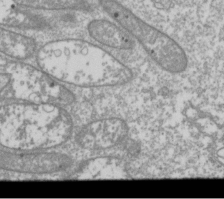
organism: Drosophila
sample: Cell division; meiosis; drosophila spermatocytes